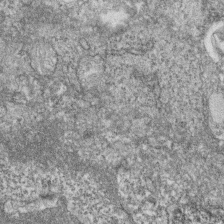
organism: Zebrafish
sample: Cilia; retinal pigment epithelium